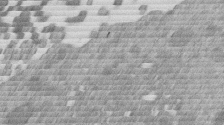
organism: Mouse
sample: Dividing mouse embryo 1 cell stage